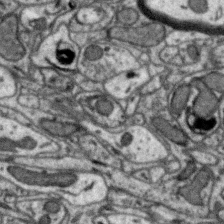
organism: Zebra finch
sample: Brain